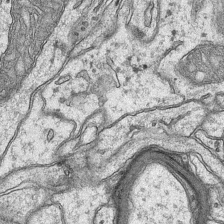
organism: Mouse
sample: CA1 Hippocampus